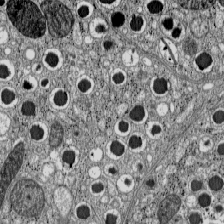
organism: C57BL Mouse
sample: Pancreatic islet